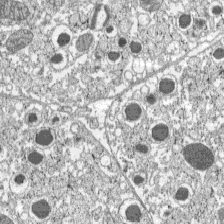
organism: C57BL Mouse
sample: Pancreatic islet